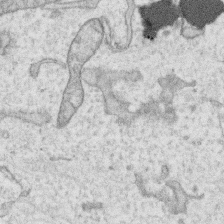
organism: Human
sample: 1205lu cells